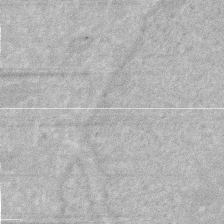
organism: Human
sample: HIV infected U937 cells